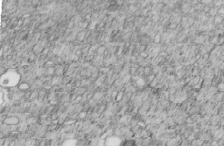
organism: C. elegans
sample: C. elegans embryo early stage